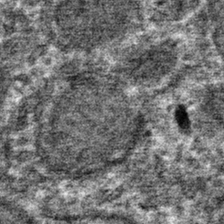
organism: Mouse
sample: Mouse hepatocytes